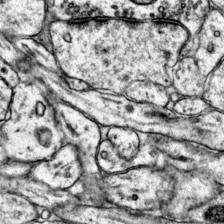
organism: Mouse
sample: Primary visual cortex